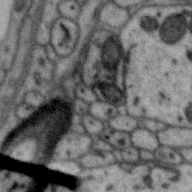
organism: Zebra finch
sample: Brain